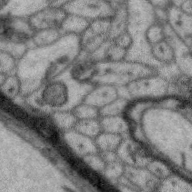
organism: Zebra finch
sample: Brain